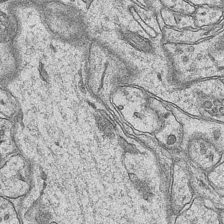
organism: Mouse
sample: CA1 Hippocampus